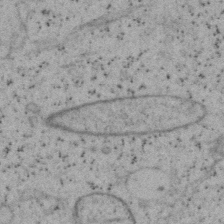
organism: Human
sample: HeLa cells